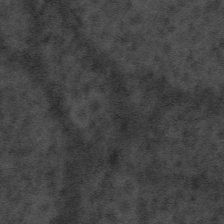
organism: Tuwongella immobilis